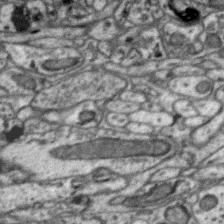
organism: Zebra finch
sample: Brain